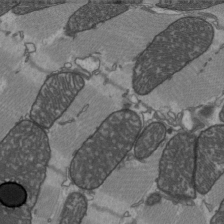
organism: C57BL Mouse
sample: Heart